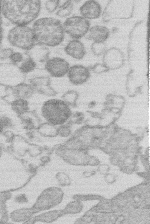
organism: Human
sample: Macrophage cells